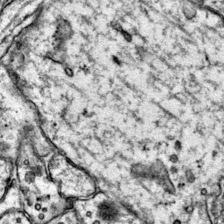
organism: Mouse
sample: Primary visual cortex